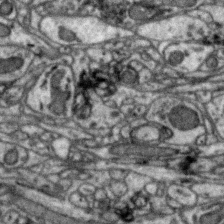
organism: Zebra finch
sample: Brain